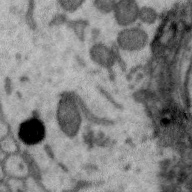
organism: Zebra finch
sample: Brain